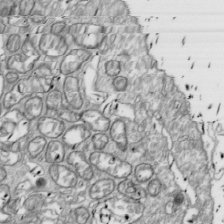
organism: Drosophila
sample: Cell division; meiosis; drosophila spermatocytes